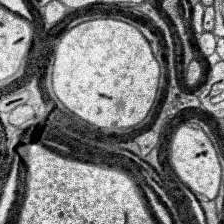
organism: Human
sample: Temporal Lobe